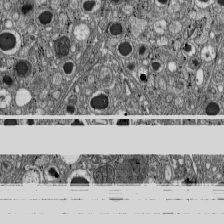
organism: C57BL Mouse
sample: Pancreatic islet